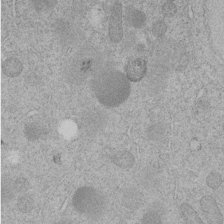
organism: C. elegans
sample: C. elegans embryo early stage